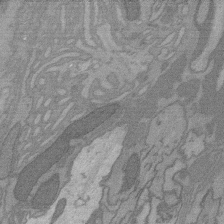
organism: C. elegans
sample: AFD neurons C. elegans